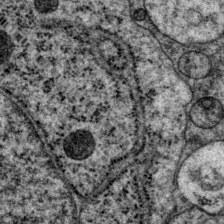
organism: P. pacificus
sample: Pharynx